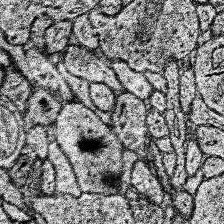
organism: Human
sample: Temporal Lobe